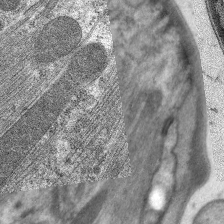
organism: C. elegans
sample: Pharynx